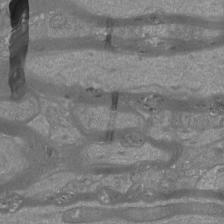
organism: Mouse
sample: Cortical neurons